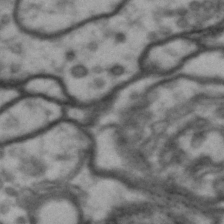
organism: Drosophila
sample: Brain